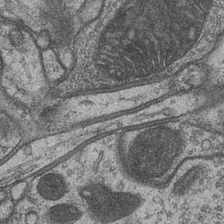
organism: Drosophila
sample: Optic medulla